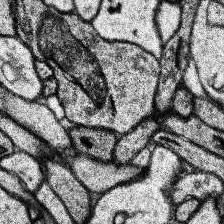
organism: Human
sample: Temporal Lobe